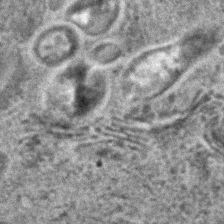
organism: C. elegans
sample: C. elegans embryo